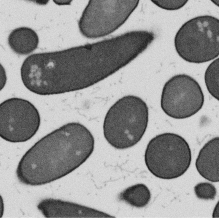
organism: B. subtilis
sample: Bacterial spore